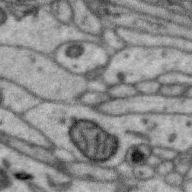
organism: Zebra finch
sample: Brain